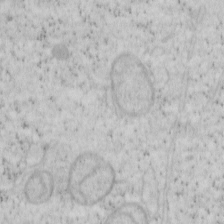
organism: Human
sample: HeLa cells